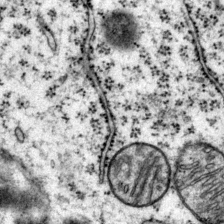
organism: Mouse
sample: Primary visual cortex